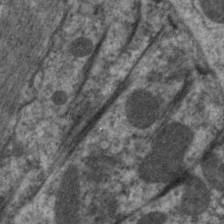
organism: C. elegans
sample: Pharynx